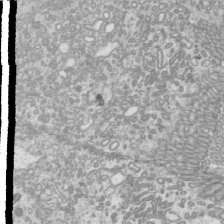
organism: Mouse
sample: Cilia; mouse epididymis